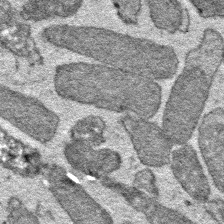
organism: E. coli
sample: E. Coli Bacteria